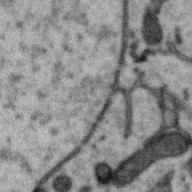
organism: Zebra finch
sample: Brain